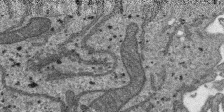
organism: Human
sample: Lung epithelial cells infected with SARS-CoV-2